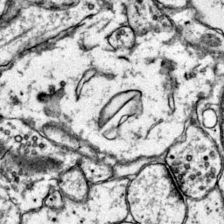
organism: Mouse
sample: Primary visual cortex